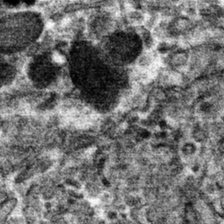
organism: Mouse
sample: Mouse hepatocytes